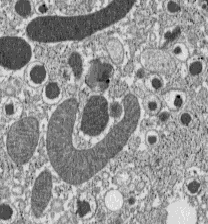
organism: C57BL Mouse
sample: Pancreatic islet